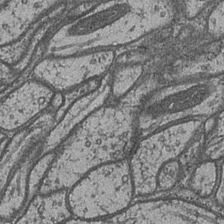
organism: Drosophila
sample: Optic medulla